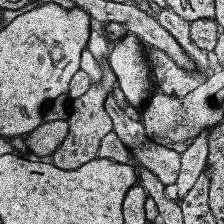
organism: Human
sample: Temporal Lobe